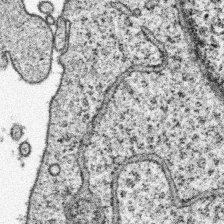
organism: Human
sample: HeLa cells